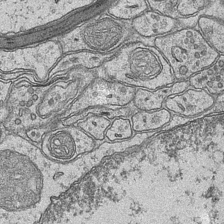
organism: Mouse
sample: CA1 Hippocampus